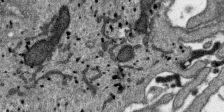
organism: Human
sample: Lung epithelial cells, uninfected (mock) control